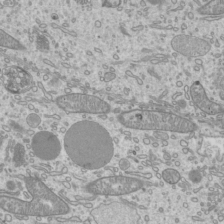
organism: Mouse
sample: Cilia; mouse epididymis